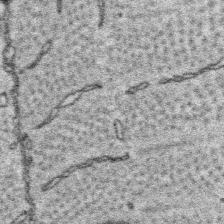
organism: Platynereis dumerilii